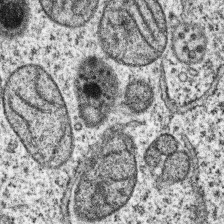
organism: Human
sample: HeLa cells